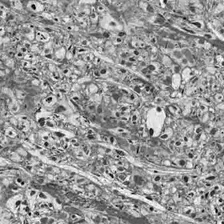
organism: Drosophila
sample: Optic lobe